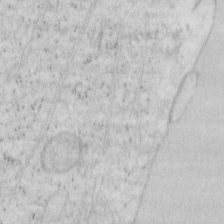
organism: Human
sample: HeLa cells